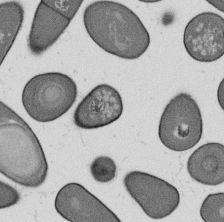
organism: B. subtilis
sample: Bacterial spore